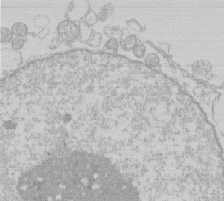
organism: Human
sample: Macrophage cells